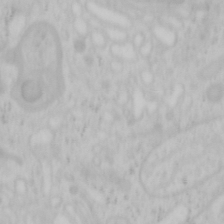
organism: Mouse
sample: OT-I killer T cells with ID8 ovarian cancer cells